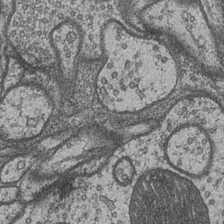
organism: Drosophila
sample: Optic medulla